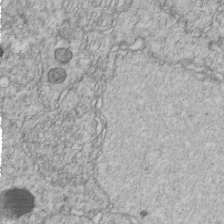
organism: C. elegans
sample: C. elegans embryo early stage